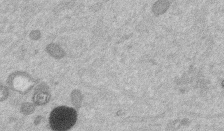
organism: Mouse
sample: Dividing mouse embryo 1 cell stage